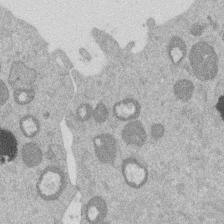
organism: Mouse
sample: Dividing mouse embryo 1 cell stage